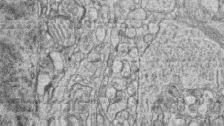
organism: Zebrafish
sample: synaptic ribbons in rod cells and cone cells